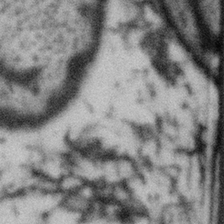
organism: Gemmata obscuriglobus